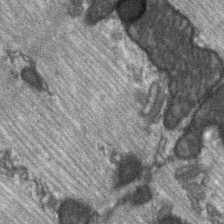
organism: C57BL Mouse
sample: Soleus